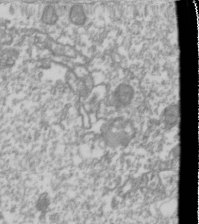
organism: Drosophila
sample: Cell division; meiosis; drosophila spermatocytes